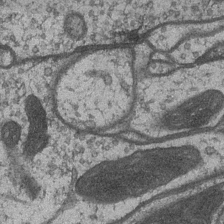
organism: Drosophila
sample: Optic medulla